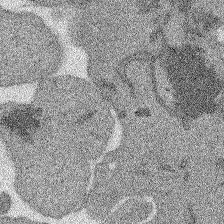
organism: Human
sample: HeLa cells